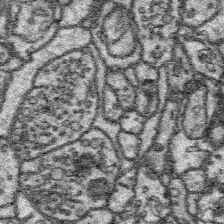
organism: Platynereis dumerilii